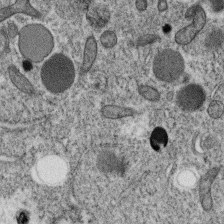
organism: C. elegans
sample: C. elegans oocyte; sperm cells